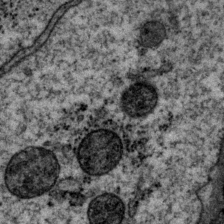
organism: P. pacificus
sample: Pharynx